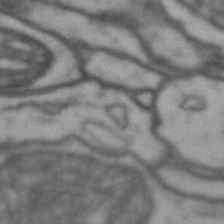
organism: Drosophila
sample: Brain